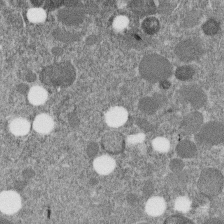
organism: C. elegans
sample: C. elegans embryo early stage